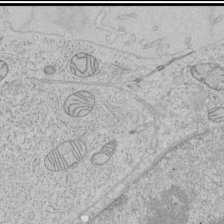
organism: Human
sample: Mitochondria in HCT116 cells